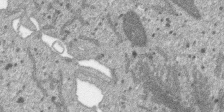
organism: Human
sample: Lung epithelial cells infected with SARS-CoV-2